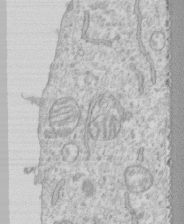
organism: Human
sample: CRL-1474